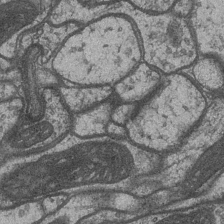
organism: Drosophila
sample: Optic medulla